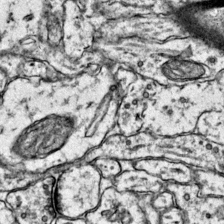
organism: Mouse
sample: Primary visual cortex